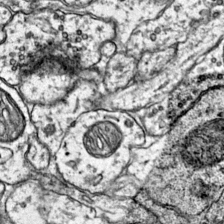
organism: Mouse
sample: Primary visual cortex